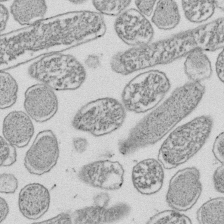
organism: E. coli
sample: Bacterial nucleoid